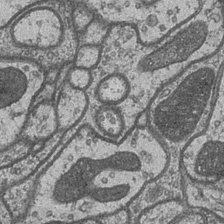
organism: Drosophila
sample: Optic medulla